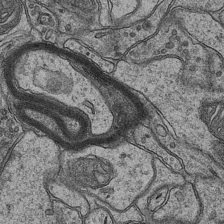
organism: Mouse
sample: CA1 Hippocampus